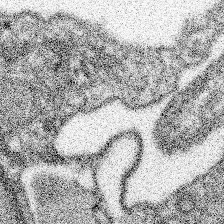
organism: Spongilla lacustris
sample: Neuroid cell